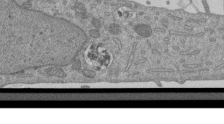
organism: Mouse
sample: ED-1 cell nuclei; centrioles